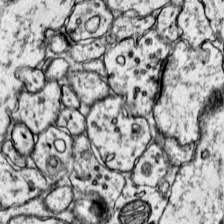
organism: Mouse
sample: Primary visual cortex